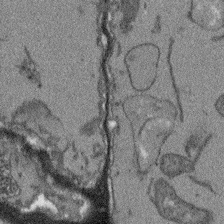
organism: Arabidopsis thaliana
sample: Root tip